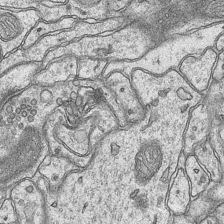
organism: Mouse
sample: CA1 Hippocampus